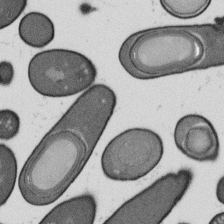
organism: B. subtilis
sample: Bacterial spore